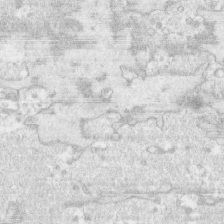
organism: Human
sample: CRL-1474